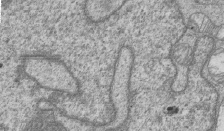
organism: Human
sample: MDA-MB-231 cells